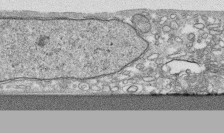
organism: Human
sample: CRL-1474